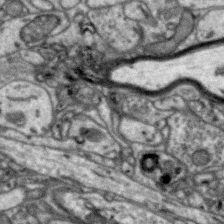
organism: Zebra finch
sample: Brain